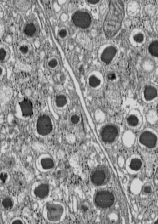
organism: C57BL Mouse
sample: Pancreatic islet